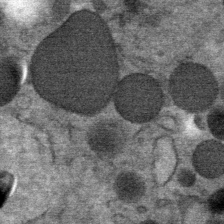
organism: Mouse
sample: Mouse Salivary gland